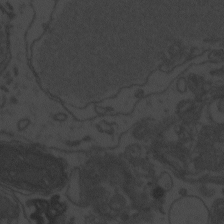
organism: Zebrafish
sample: Macrophage infected with Toxoplasma gondii